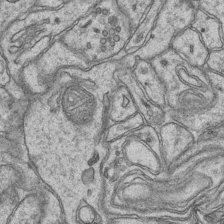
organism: Mouse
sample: CA1 Hippocampus